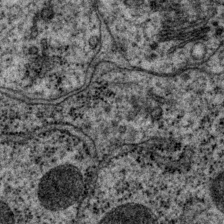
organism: P. pacificus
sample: Pharynx